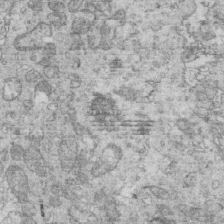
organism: Mouse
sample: Multiciliated cells